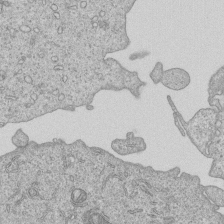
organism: Human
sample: MDA-MB-231 cells